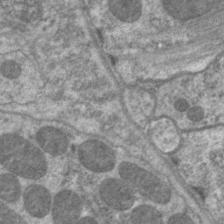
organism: C. elegans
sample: Pharynx